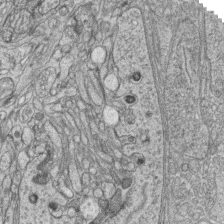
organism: Zebrafish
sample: synaptic ribbons in rod cells and cone cells